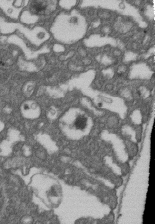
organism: Drosophila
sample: Nephrocyte